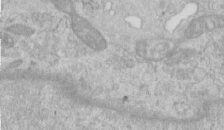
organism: Human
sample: Centriole in RPE cells